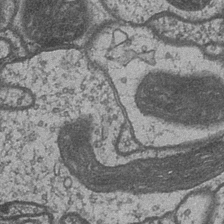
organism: Drosophila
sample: Optic medulla